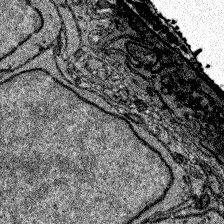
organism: Zebrafish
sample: Larval olfactory bulb